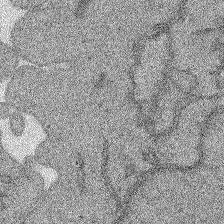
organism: Human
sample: HeLa cells